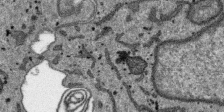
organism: Human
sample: Lung epithelial cells, uninfected (mock) control